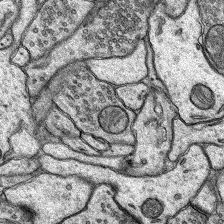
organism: Rat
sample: Hippocampus